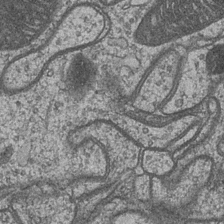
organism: Drosophila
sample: Optic medulla